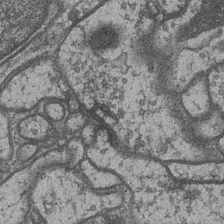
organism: Drosophila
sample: Optic medulla